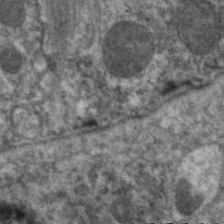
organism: C. elegans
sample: Pharynx